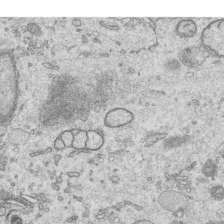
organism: Human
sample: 1205lu cells